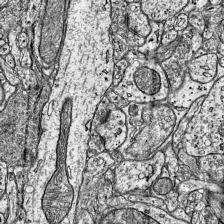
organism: Mouse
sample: Visual Cortex